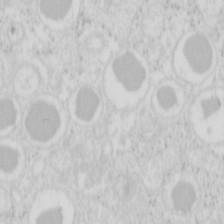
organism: Mouse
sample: Pancreas